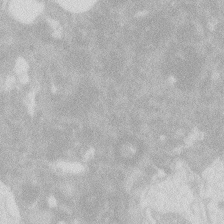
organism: Zebrafish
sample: Macrophage